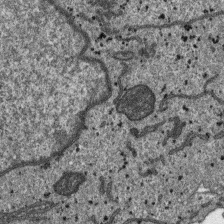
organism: Human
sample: Lung epithelial cells infected with SARS-CoV-2